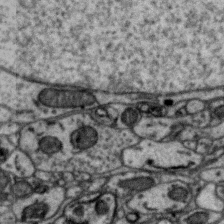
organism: Zebra finch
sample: Brain